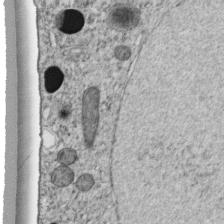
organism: C. elegans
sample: C. elegans embryo early stage